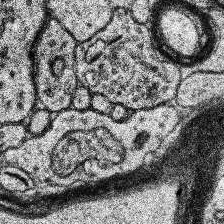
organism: Human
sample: Temporal Lobe